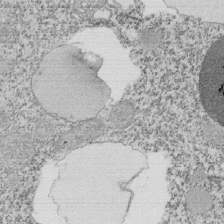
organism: Tetrahymena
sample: Cilia in tetrahymena